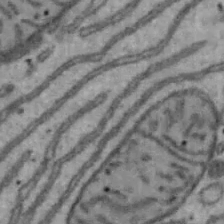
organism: Mouse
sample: Liver